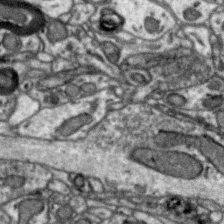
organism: Zebra finch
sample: Brain